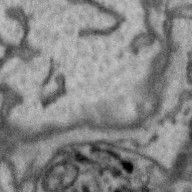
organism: Zebra finch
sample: Brain